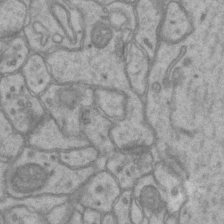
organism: Mouse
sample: CA1 Hippocampus